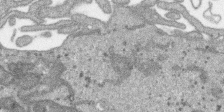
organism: Human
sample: Lung epithelial cells infected with SARS-CoV-2